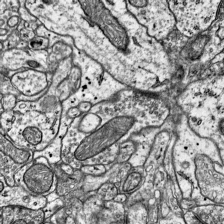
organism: Mouse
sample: Visual Cortex